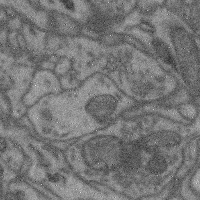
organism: Mouse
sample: Cerebral cortex